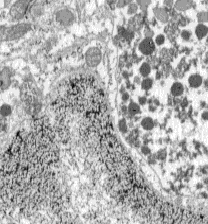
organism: C57BL Mouse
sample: Pancreatic islet